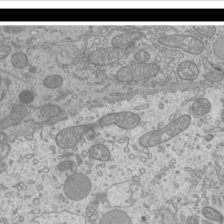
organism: Mouse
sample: Cilia; mouse epididymis